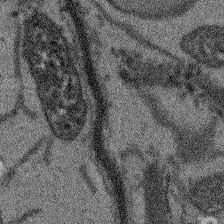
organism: Arabidopsis thaliana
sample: Root tip